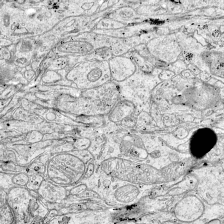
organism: Mouse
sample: Visual Cortex